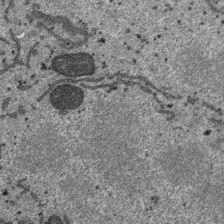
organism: Human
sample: Lung epithelial cells infected with SARS-CoV-2